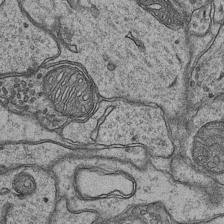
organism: Mouse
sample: CA1 Hippocampus